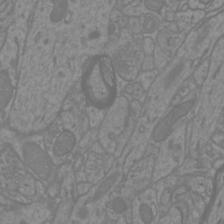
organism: Mouse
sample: Cortical neurons